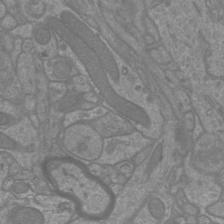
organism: Mouse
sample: Cortical neurons